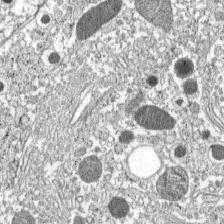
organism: C57BL Mouse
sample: Pancreatic islet